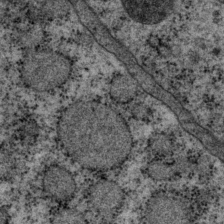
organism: P. pacificus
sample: Pharynx